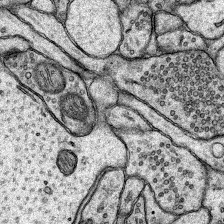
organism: Rat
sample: Hippocampus